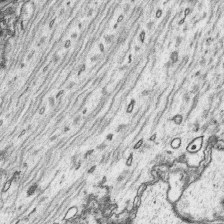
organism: Platynereis dumerilii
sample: Parapodia